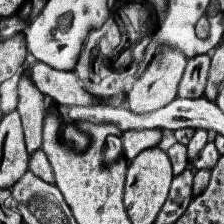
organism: Human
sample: Temporal Lobe